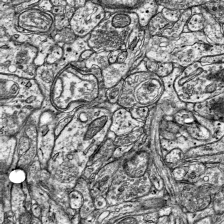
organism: Mouse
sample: Visual Cortex